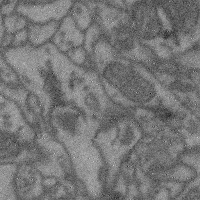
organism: Mouse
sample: Cerebral cortex